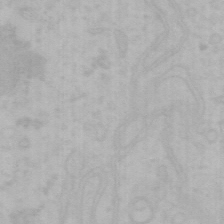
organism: Mouse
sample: Choroid plexus